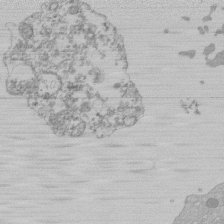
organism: Mouse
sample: Activated Pmel transgenic CD8+ T Cells